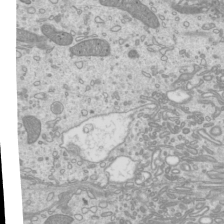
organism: Mouse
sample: Cilia; mouse epididymis